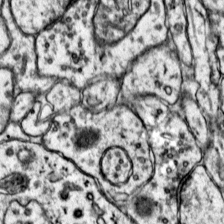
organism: Mouse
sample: Primary visual cortex